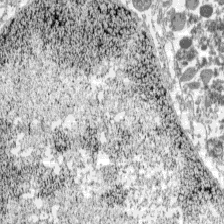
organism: C57BL Mouse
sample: Pancreatic islet